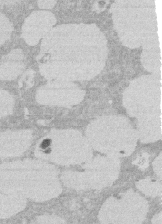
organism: Rat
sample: Salivary granule